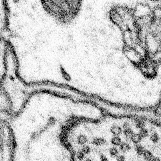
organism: Mouse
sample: Somatosensory cortex neuropil